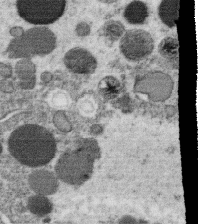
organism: C. elegans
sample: C. elegans oocyte; sperm cells